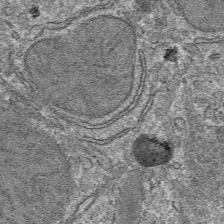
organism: Mouse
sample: Mouse hepatocytes